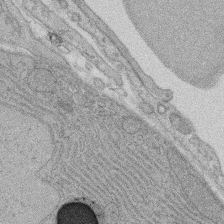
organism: Rat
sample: Salivary granule